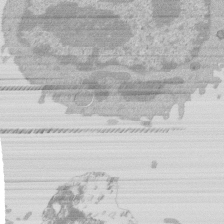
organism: Mouse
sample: Activated Pmel transgenic CD8+ T Cells